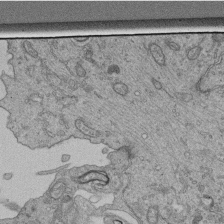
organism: Human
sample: Retinal organoid Rod and Cone cells